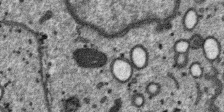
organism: Human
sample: Lung epithelial cells infected with SARS-CoV-2